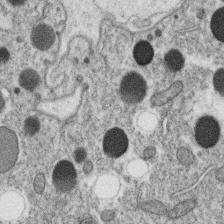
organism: C. elegans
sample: C. elegans oocyte; sperm cells